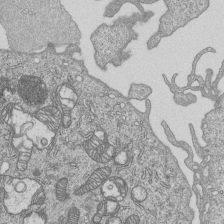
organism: Human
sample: MDA-MB-231 cells